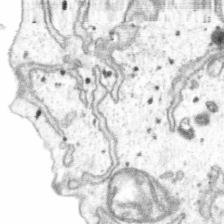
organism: Human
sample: HeLa cells